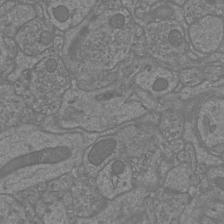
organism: Mouse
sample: Cortical neurons